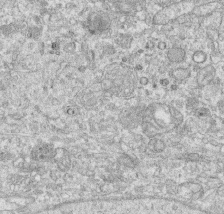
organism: Human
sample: HeLa cell HIV synapse